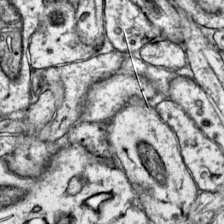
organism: Mouse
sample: Primary visual cortex